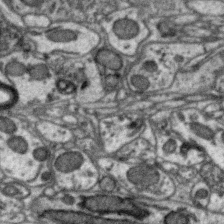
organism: Zebra finch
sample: Brain